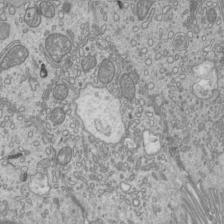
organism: Mouse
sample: Cilia; mouse epididymis